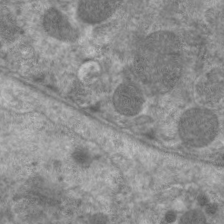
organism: C. elegans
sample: Pharynx